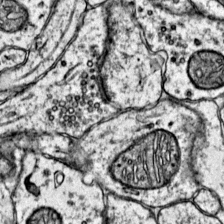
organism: Mouse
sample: Primary visual cortex